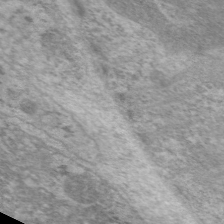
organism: C. elegans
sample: Pharynx